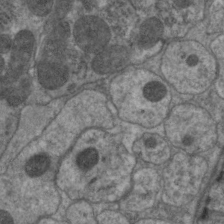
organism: C. elegans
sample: Pharynx